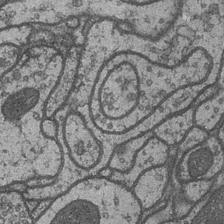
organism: Drosophila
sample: Optic medulla